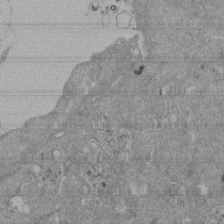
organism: Mouse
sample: ED-1 cell nuclei; centrioles